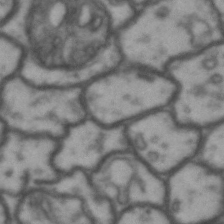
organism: Drosophila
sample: Brain